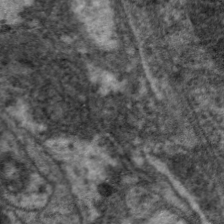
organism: C. elegans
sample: Pharynx